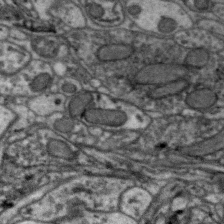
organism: Zebra finch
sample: Brain